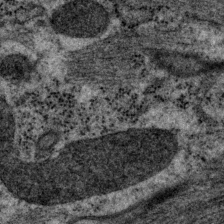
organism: P. pacificus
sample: Pharynx